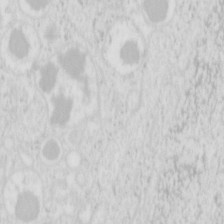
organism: Mouse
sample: Pancreas